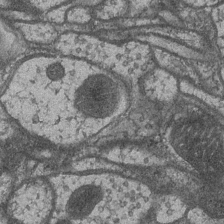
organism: Drosophila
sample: Optic medulla